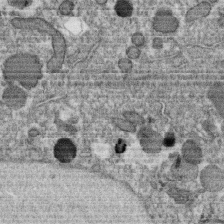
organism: C. elegans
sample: C. elegans oocyte; sperm cells